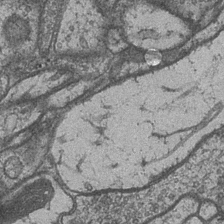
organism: Drosophila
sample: Optic medulla